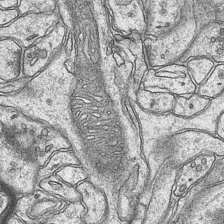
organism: Mouse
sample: CA1 Hippocampus